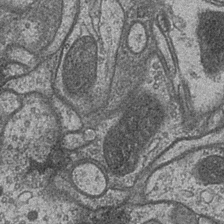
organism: Drosophila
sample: Optic medulla